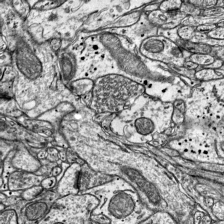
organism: Mouse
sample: Visual Cortex